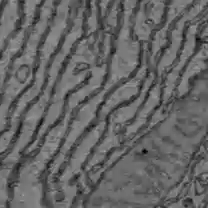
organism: C57BL Mouse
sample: Liver